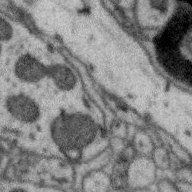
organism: Zebra finch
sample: Brain